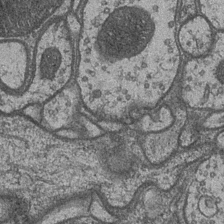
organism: Drosophila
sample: Optic medulla